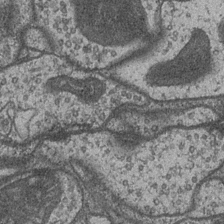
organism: Drosophila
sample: Optic medulla